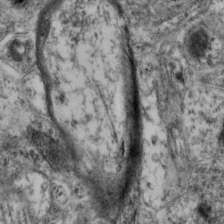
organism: Mouse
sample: Neocortex